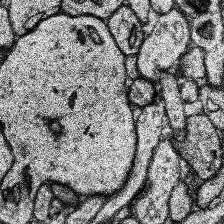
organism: Human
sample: Temporal Lobe